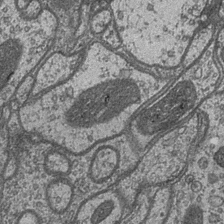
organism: Drosophila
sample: Optic medulla